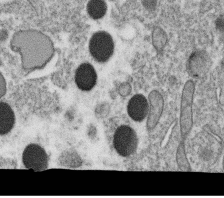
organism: C. elegans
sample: C. elegans oocyte; sperm cells